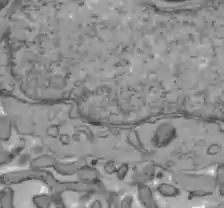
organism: C57BL Mouse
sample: Liver